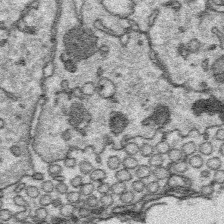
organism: Platynereis dumerilii